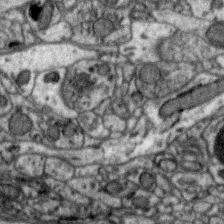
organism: Zebra finch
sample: Brain